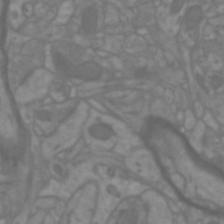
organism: Mouse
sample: Cortical neurons